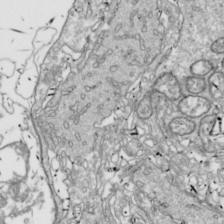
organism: Drosophila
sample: Cell division; meiosis; drosophila spermatocytes